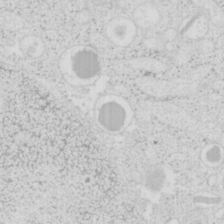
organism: Mouse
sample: Pancreas